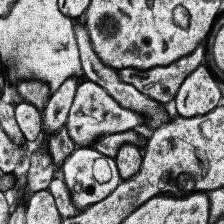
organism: Human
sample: Temporal Lobe